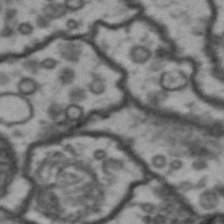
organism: Drosophila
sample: Brain